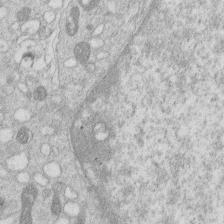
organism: Human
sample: Macrophage cells